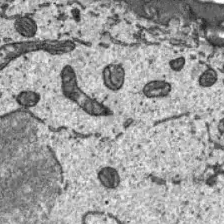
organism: Human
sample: HeLa cells